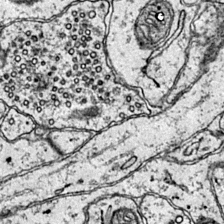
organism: Mouse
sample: Primary visual cortex